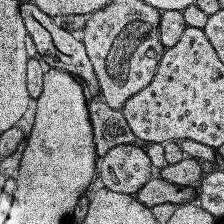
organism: Human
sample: Temporal Lobe